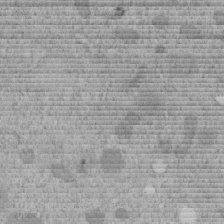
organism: C. elegans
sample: C. elegans embryo early stage